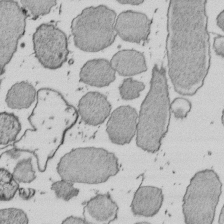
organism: E. coli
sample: Bacterial nucleoid